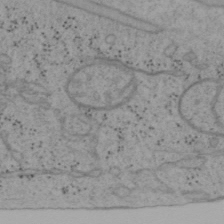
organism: Human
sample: HeLa cells